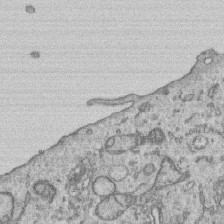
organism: Human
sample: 1205lu cells